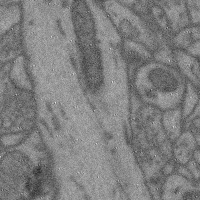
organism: Mouse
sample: Cerebral cortex